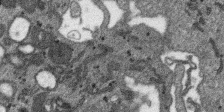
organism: Human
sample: Lung epithelial cells infected with SARS-CoV-2